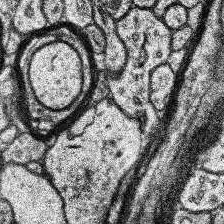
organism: Human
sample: Temporal Lobe